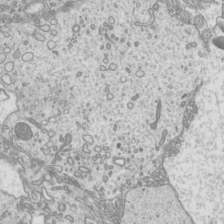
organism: Mouse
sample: Cilia; mouse epididymis